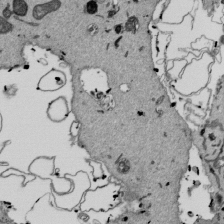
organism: Mouse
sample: ED-1 cell nuclei; centrioles